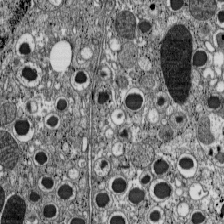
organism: C57BL Mouse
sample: Pancreatic islet